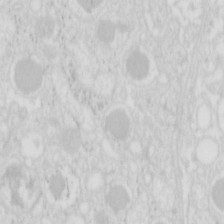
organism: Mouse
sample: Pancreas